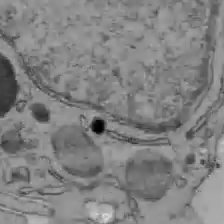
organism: C57BL Mouse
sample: Liver